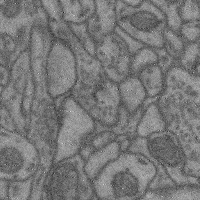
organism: Mouse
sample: Cerebral cortex